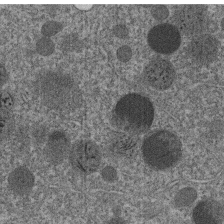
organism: C. elegans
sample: C. elegans embryo early stage